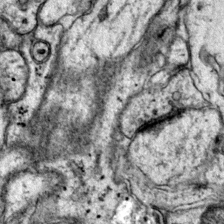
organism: Mouse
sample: Primary visual cortex